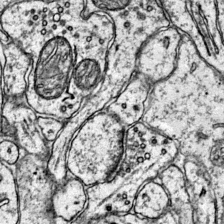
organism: Mouse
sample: Primary visual cortex